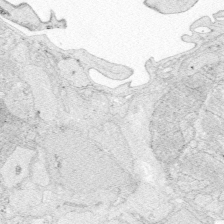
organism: Zebrafish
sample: Whole-Brain